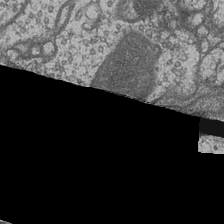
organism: Drosophila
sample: Optic medulla